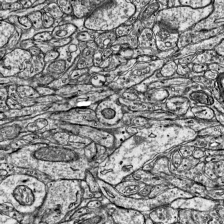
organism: Mouse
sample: Visual Cortex